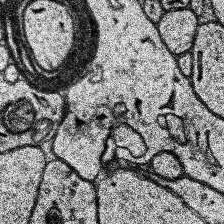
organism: Human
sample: Temporal Lobe